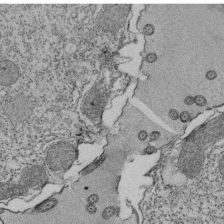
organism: Tetrahymena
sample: Cilia in tetrahymena